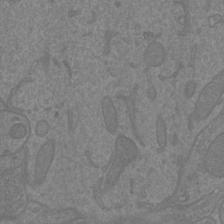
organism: Mouse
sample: Cortical neurons